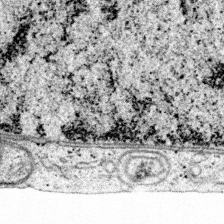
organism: Human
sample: HeLa cells